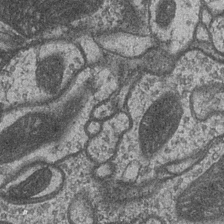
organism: Drosophila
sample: Optic medulla